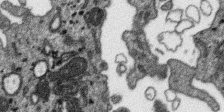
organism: Human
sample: Lung epithelial cells infected with SARS-CoV-2